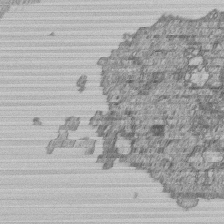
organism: Human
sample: MDA-MB-231 cells